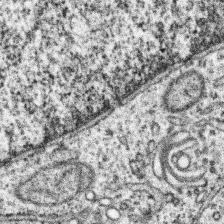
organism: Human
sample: HeLa cells